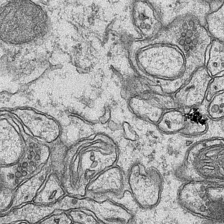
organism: Mouse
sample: CA1 Hippocampus